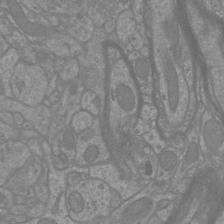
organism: Mouse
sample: Cortical neurons